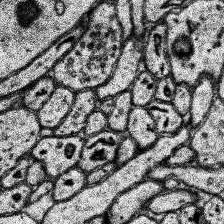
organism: Human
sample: Temporal Lobe